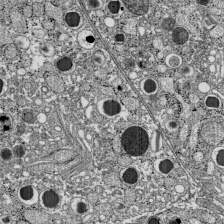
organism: C57BL Mouse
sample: Pancreatic islet